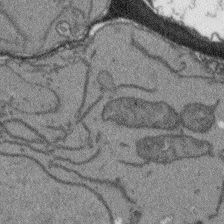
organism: Arabidopsis thaliana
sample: Root tip